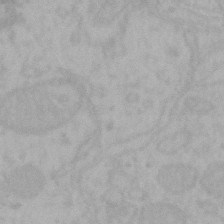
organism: Mouse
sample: Choroid plexus